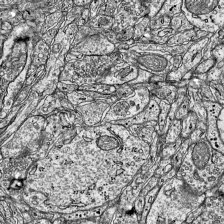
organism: Mouse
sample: Visual Cortex